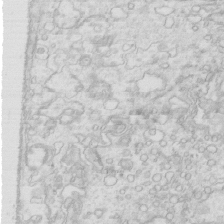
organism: Mouse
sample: Multiciliated cells